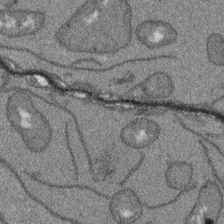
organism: Arabidopsis thaliana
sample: Root tip